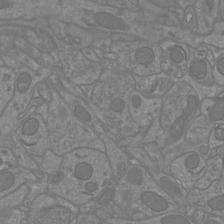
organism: Mouse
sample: Cortical neurons